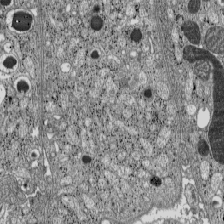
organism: C57BL Mouse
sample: Pancreatic islet